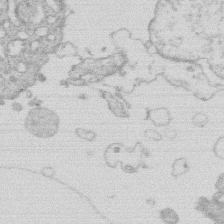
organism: Human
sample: Macrophage cells